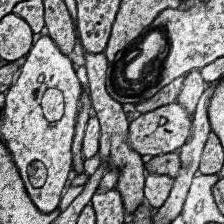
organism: Human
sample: Temporal Lobe